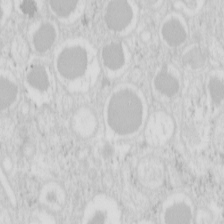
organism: Mouse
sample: Pancreas